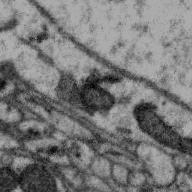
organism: Zebra finch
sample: Brain